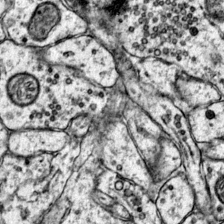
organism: Mouse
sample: Primary visual cortex